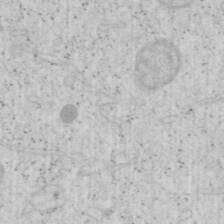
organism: Human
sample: HeLa cells